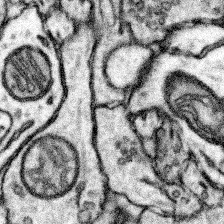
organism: Mouse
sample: Somatosensory cortex neuropil